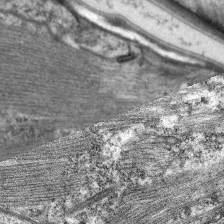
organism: C. elegans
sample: Pharynx